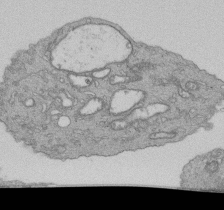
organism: Human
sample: Retinal organoid Rod and Cone cells